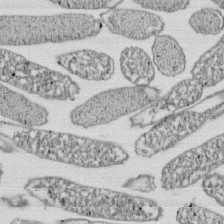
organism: E. coli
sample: Bacterial nucleoid